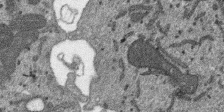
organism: Human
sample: Lung epithelial cells infected with SARS-CoV-2